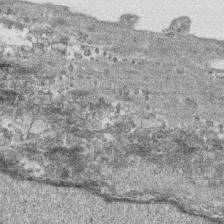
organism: Human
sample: CRL-1474